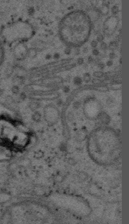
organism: Human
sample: HeLa cells